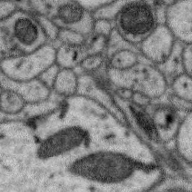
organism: Zebra finch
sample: Brain